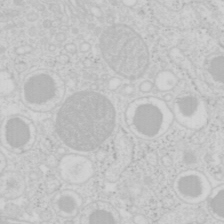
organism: Mouse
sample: Pancreas